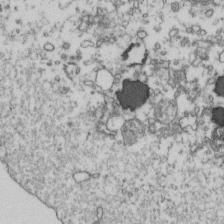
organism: Human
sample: Activated Jurkat CD4+ T cells